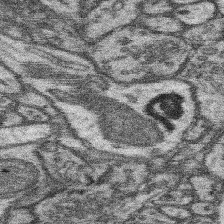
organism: Mouse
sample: Somatosensory cortex neuropil